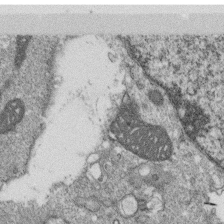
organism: African green monkey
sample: Vero E6 cells infected with SARS-CoV-2